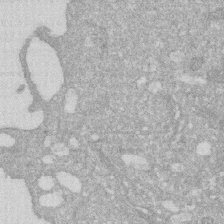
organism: Human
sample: HIV infected U937 cells